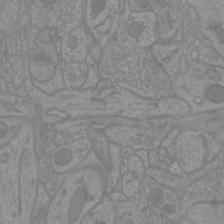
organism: Mouse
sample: Cortical neurons